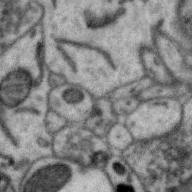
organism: Zebra finch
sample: Brain